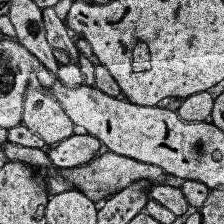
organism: Human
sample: Temporal Lobe